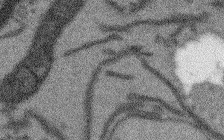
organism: Arabidopsis thaliana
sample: Root tip